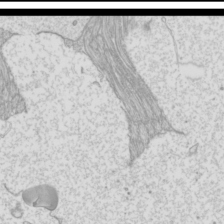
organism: Mouse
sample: Cilia; mouse epididymis